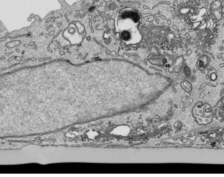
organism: Human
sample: Mitochondria in HCT116 cells